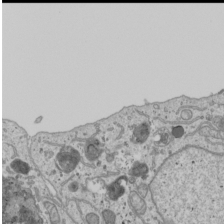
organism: Human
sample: Mitochondria in U2OS cells